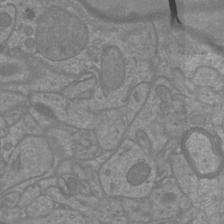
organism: Mouse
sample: Cortical neurons